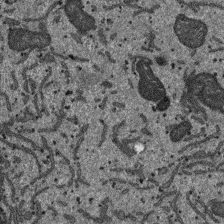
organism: Human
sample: Lung epithelial cells infected with SARS-CoV-2